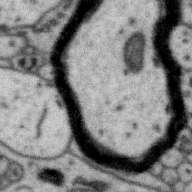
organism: Zebra finch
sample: Brain